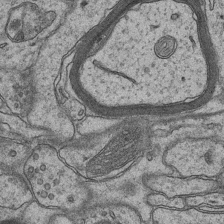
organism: Mouse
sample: CA1 Hippocampus